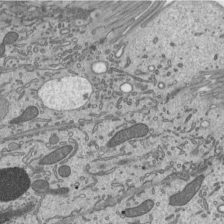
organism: Mouse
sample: Mouse epididymis efferent ductule cilia